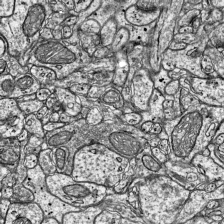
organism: Mouse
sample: Visual Cortex